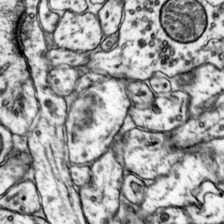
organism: Mouse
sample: Primary visual cortex